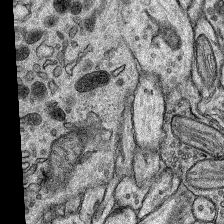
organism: Rat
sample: Hippocampus